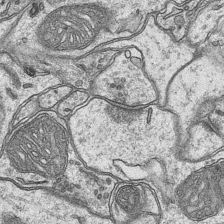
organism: Mouse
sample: CA1 Hippocampus